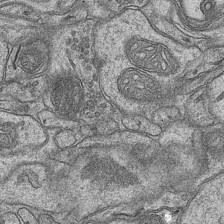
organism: Mouse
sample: CA1 Hippocampus